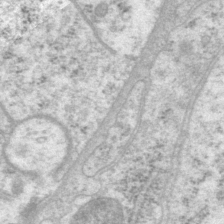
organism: P. pacificus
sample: Pharynx